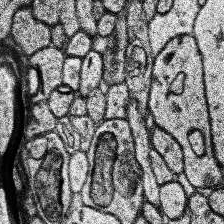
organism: Human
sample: Temporal Lobe